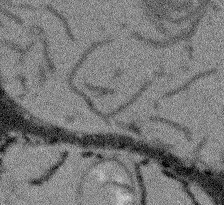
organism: Arabidopsis thaliana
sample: Root tip